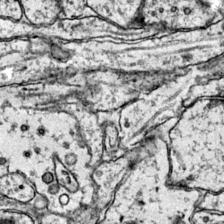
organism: Mouse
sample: Primary visual cortex